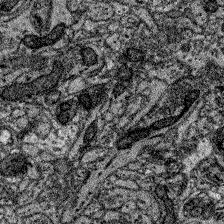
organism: Zebrafish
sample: Larval olfactory bulb